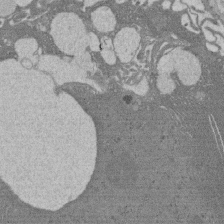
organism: Rat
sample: Salivary granule